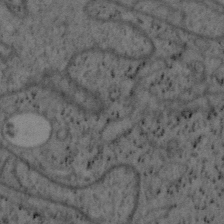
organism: Human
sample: HeLa cells